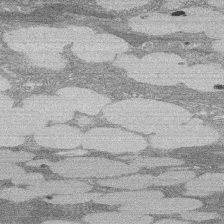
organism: Rat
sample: Salivary granule